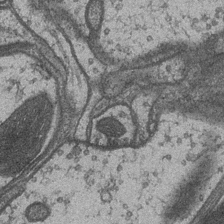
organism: Drosophila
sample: Optic medulla